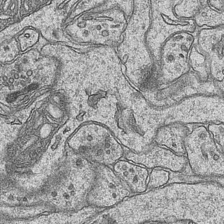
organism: Mouse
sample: CA1 Hippocampus